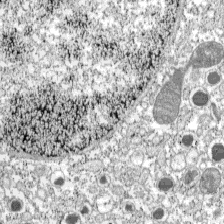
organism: C57BL Mouse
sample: Pancreatic islet